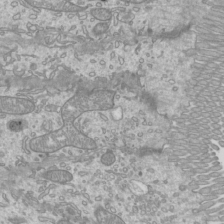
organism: Mouse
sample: Cilia; mouse epididymis